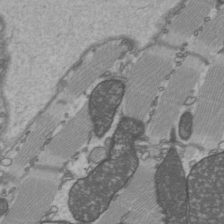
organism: C57BL Mouse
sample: Heart